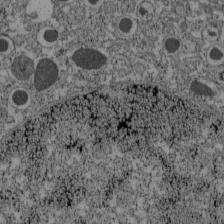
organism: C57BL Mouse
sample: Pancreatic islet